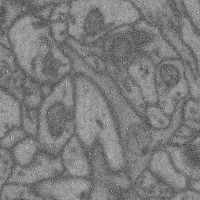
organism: Mouse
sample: Cerebral cortex